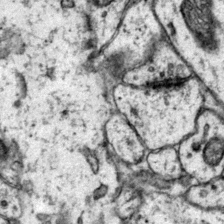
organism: Mouse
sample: Primary visual cortex